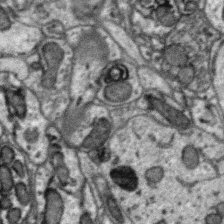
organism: Zebra finch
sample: Brain